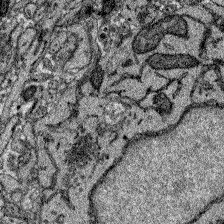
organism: Zebrafish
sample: Larval olfactory bulb